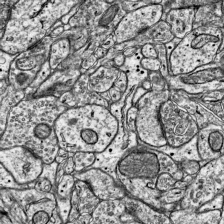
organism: Mouse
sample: Visual Cortex